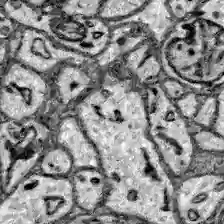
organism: Zebrafish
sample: Brain